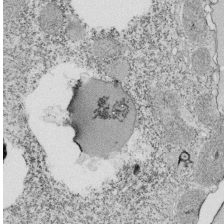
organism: Tetrahymena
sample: Cilia in tetrahymena